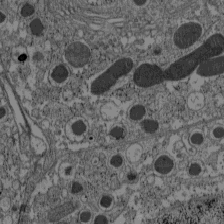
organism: C57BL Mouse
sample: Pancreatic islet